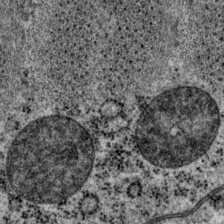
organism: P. pacificus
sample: Pharynx